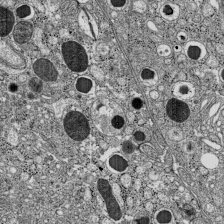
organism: C57BL Mouse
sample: Pancreatic islet